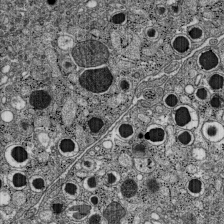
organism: C57BL Mouse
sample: Pancreatic islet